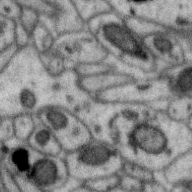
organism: Zebra finch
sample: Brain